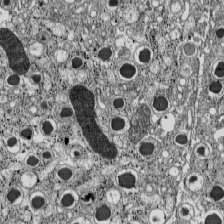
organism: C57BL Mouse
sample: Pancreatic islet